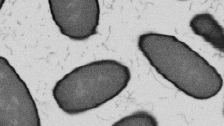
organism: B. subtilis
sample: Bacterial spore